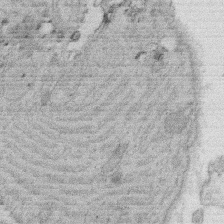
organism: Rat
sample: Salivary granule